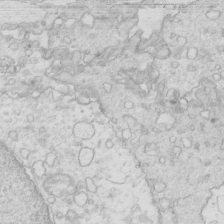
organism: Mouse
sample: Multiciliated cells